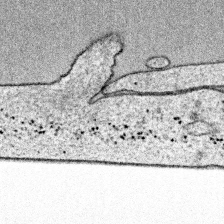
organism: Human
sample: HeLa cells